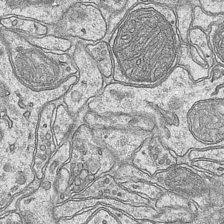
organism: Mouse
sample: CA1 Hippocampus